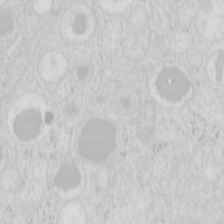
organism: Mouse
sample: Pancreas